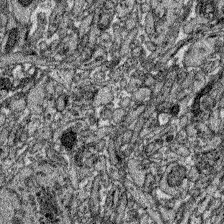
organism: Zebrafish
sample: Larval olfactory bulb